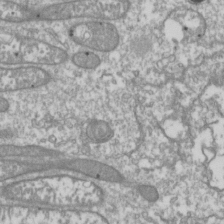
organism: Drosophila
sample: Cell division; meiosis; drosophila spermatocytes